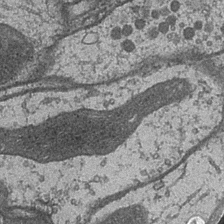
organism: Drosophila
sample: Optic medulla